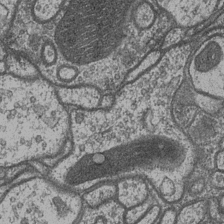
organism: Drosophila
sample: Optic medulla